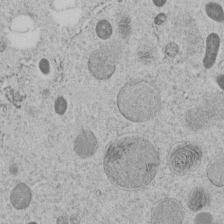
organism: C. elegans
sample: C. elegans embryo early stage